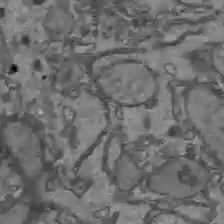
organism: C57BL Mouse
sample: Liver